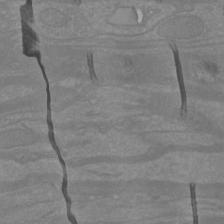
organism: Mouse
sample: Cortical neurons